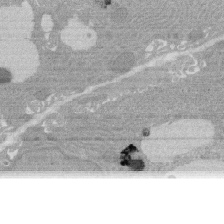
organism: Rat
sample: Salivary granule